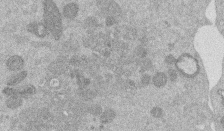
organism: Mouse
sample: Dividing mouse embryo 1 cell stage